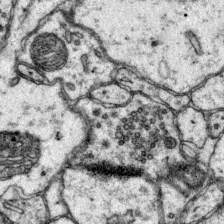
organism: Mouse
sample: Primary visual cortex